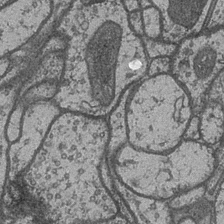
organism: Drosophila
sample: Optic medulla